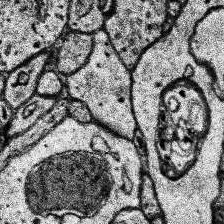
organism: Human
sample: Temporal Lobe